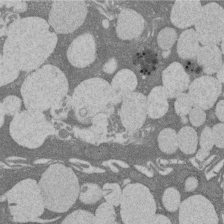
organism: Rat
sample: Salivary granule